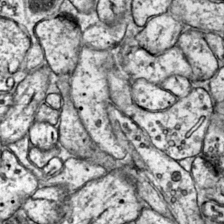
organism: Mouse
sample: Primary visual cortex